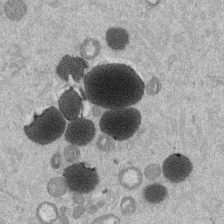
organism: Mouse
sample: Dividing mouse embryo 1 cell stage